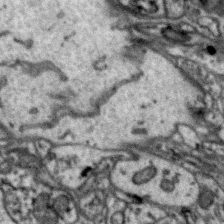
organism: Zebra finch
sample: Brain